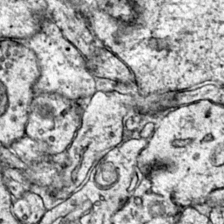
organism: Mouse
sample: Primary visual cortex